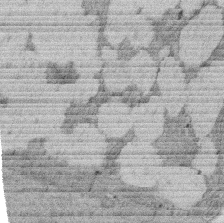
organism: Rat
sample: Salivary granule